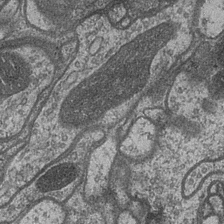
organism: Drosophila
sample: Optic medulla